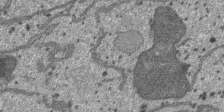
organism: Human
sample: Lung epithelial cells infected with SARS-CoV-2